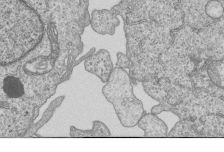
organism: Human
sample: MDA-MB-231 cells